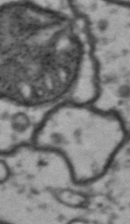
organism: Drosophila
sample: Brain